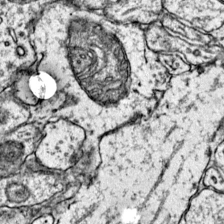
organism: Mouse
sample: Primary visual cortex